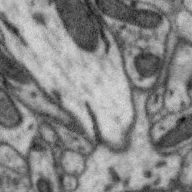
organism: Zebra finch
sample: Brain